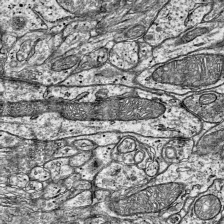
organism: Mouse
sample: Visual Cortex